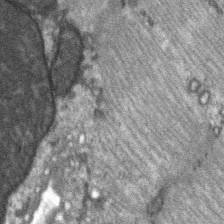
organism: C57BL Mouse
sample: Soleus